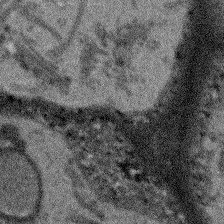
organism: Arabidopsis thaliana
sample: Root tip